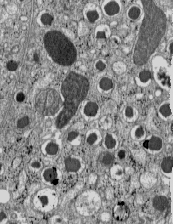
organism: C57BL Mouse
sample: Pancreatic islet